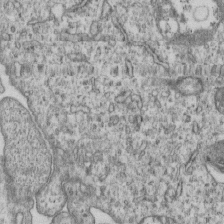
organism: Human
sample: MDA-MB-231 cells